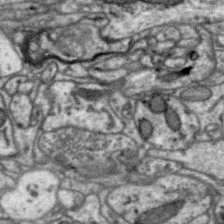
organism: Zebra finch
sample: Brain